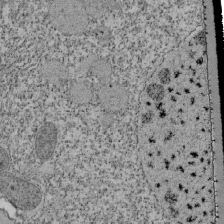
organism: Tetrahymena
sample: Cilia in tetrahymena